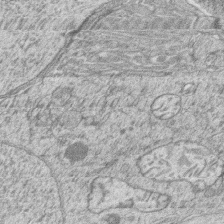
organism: Zebrafish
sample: synaptic ribbons in rod cells and cone cells